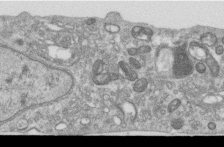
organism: Human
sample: Centriole in RPE cells